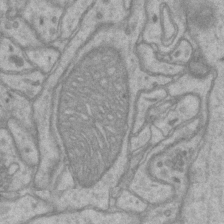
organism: Mouse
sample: CA1 Hippocampus